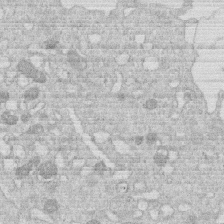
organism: Human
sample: Macrophage cells